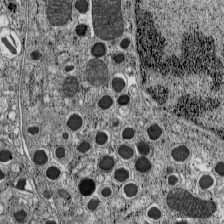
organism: C57BL Mouse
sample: Pancreatic islet